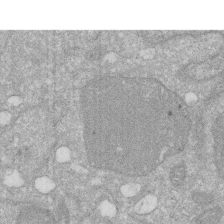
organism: Human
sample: HIV infected U937 cells